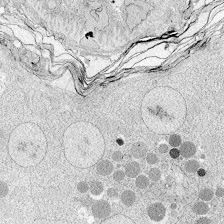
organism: Zebrafish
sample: Whole-Brain